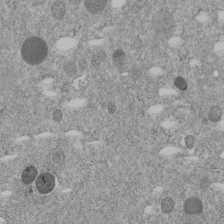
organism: C. elegans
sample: C. elegans embryo early stage